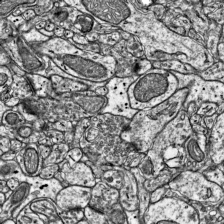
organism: Mouse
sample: Visual Cortex